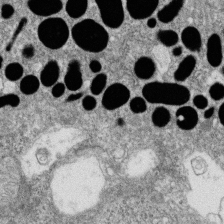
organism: Zebrafish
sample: Cilia; retinal pigment epithelium